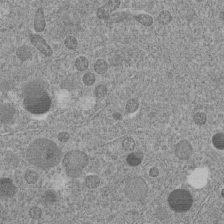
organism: C. elegans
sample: C. elegans embryo early stage